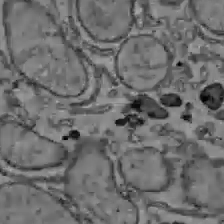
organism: C57BL Mouse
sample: Liver